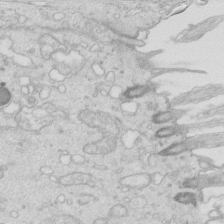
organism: Mouse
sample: Multiciliated cells